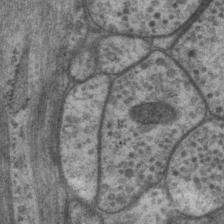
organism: P. pacificus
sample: Pharynx